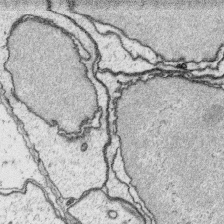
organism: Platynereis dumerilii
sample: Parapodia